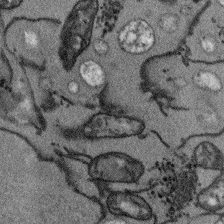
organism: Arabidopsis thaliana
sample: Root tip